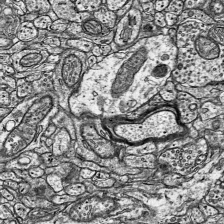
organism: Mouse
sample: Visual Cortex